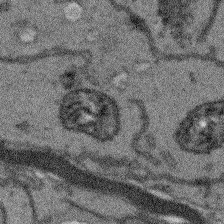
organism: Arabidopsis thaliana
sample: Root tip